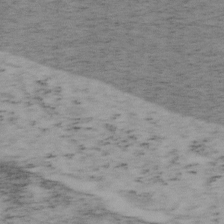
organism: Mouse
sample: OT-I killer T cells with ID8 ovarian cancer cells